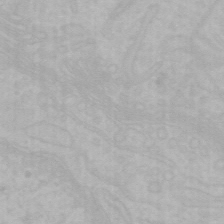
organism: Mouse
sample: Choroid plexus